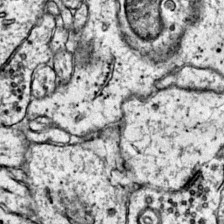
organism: Mouse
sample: Primary visual cortex